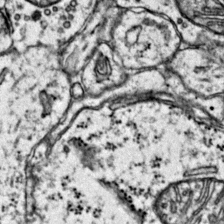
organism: Mouse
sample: Primary visual cortex